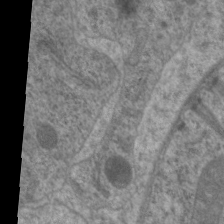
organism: C. elegans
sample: Pharynx